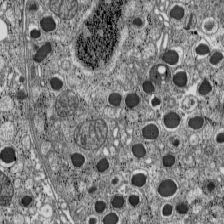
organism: C57BL Mouse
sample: Pancreatic islet